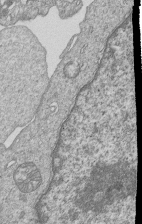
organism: Human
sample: MDA-MB-231 cells